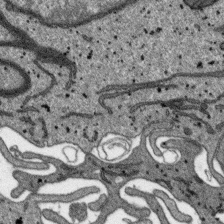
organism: Human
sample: Lung epithelial cells, uninfected (mock) control